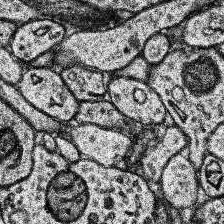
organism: Human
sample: Temporal Lobe